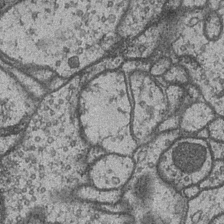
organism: Drosophila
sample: Optic medulla